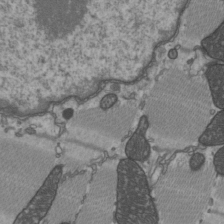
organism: C57BL Mouse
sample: Heart